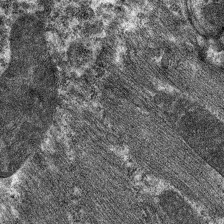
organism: C. elegans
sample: Pharynx